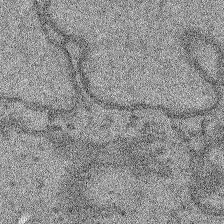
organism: Human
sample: HeLa cells